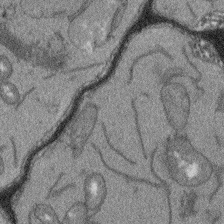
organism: Arabidopsis thaliana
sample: Root tip